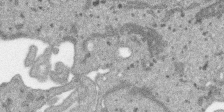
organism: Human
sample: Lung epithelial cells infected with SARS-CoV-2